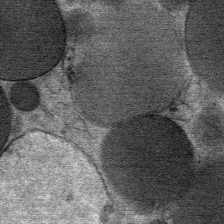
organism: Mouse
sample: Mouse Salivary gland